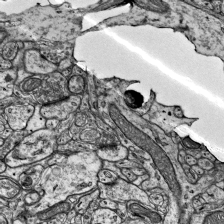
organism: Mouse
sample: Visual Cortex